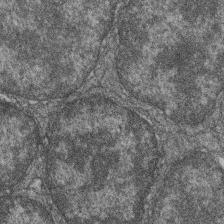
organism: Zebrafish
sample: Cilia; retinal pigment epithelium